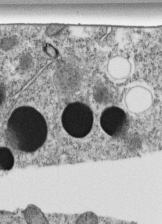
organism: C. elegans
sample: C. elegans embryo early stage